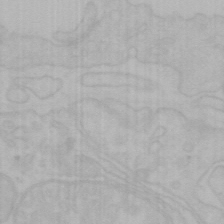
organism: Mouse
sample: Choroid plexus